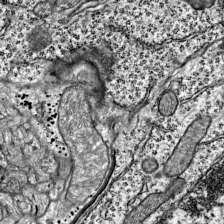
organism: Mouse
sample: Visual Cortex